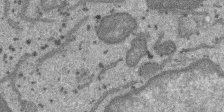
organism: Human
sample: Lung epithelial cells infected with SARS-CoV-2